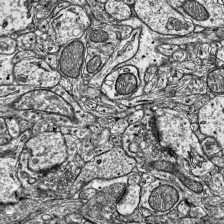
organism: Mouse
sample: Visual Cortex